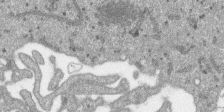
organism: Human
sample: Lung epithelial cells infected with SARS-CoV-2